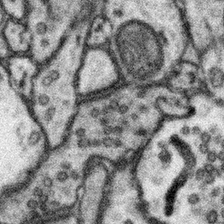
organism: Mouse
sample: Somatosensory cortex neuropil